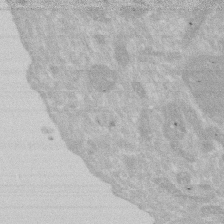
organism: Human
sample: HIV infected U937 cells